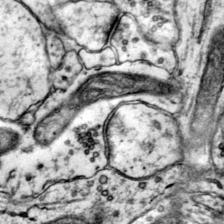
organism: Mouse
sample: Primary visual cortex